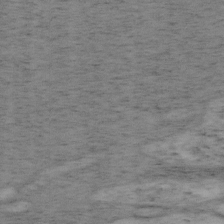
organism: Mouse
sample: OT-I killer T cells with ID8 ovarian cancer cells